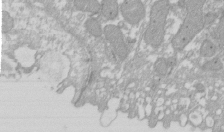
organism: Xenopus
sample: Cilia; centrioles in frog embryo cells